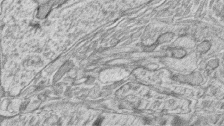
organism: Zebrafish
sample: synaptic ribbons in rod cells and cone cells